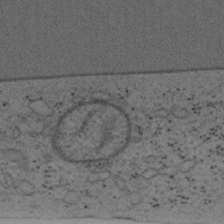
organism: Human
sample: HeLa cells